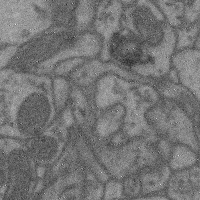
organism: Mouse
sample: Cerebral cortex